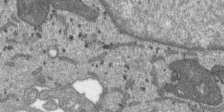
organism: Human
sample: Lung epithelial cells infected with SARS-CoV-2